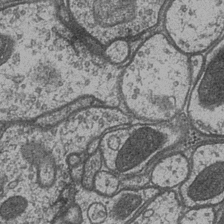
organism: Drosophila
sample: Optic medulla